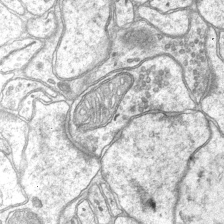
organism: Mouse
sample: CA1 Hippocampus